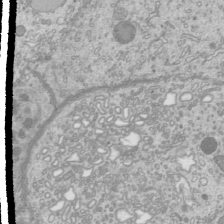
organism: Mouse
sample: Cilia; mouse epididymis